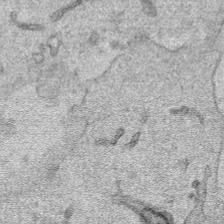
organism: Human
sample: Mitochondria in HCT116 cells